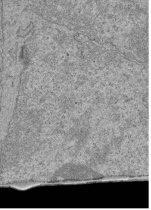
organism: Human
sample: Retinal organoid Rod and Cone cells